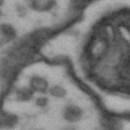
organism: Drosophila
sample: Brain